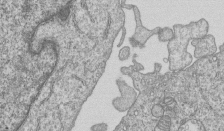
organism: Human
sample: MDA-MB-231 cells